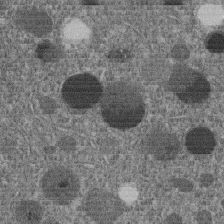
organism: C. elegans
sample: C. elegans embryo early stage